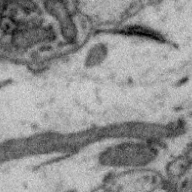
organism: Zebra finch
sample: Brain